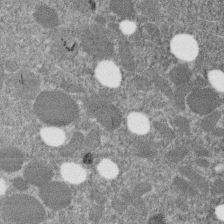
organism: C. elegans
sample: C. elegans embryo early stage